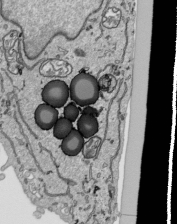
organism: Human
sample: Mitochondria in HCT116 cells